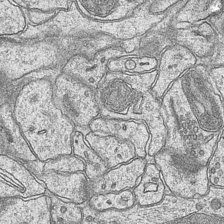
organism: Mouse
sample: CA1 Hippocampus